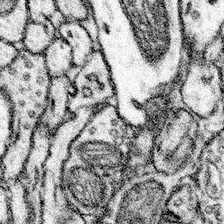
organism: Mouse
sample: Somatosensory cortex neuropil